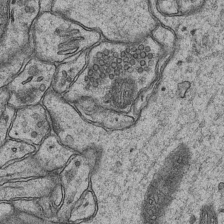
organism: Mouse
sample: CA1 Hippocampus